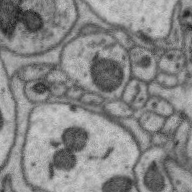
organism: Zebra finch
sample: Brain